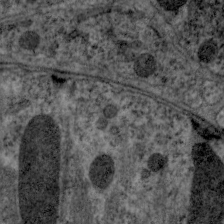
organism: C. elegans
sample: Pharynx